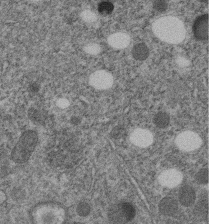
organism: C. elegans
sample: C. elegans embryo early stage